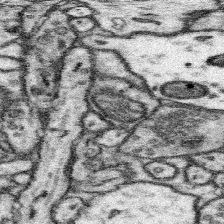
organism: Mouse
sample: Somatosensory cortex neuropil